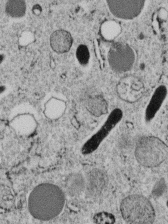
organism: C. elegans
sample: C. elegans embryo early stage